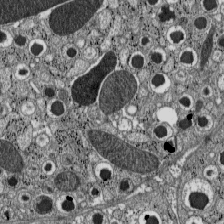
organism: C57BL Mouse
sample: Pancreatic islet